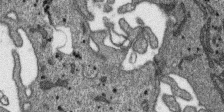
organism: Human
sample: Lung epithelial cells infected with SARS-CoV-2